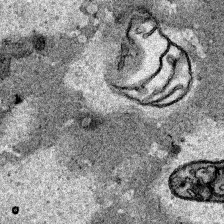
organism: Human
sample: Mitochondria in HCT116 cells